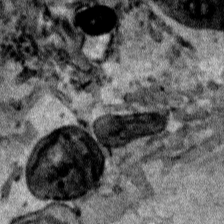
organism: Human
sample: Mitochondria in HCT116 cells